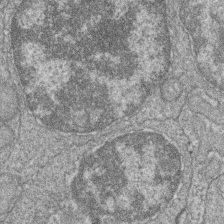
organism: Zebrafish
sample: Cilia; retinal pigment epithelium